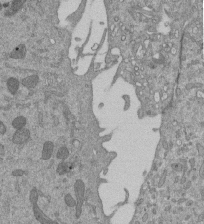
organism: Mouse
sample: ED-1 cell nuclei; centrioles